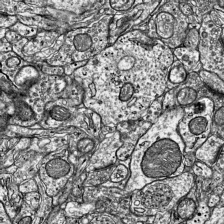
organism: Mouse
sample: Visual Cortex